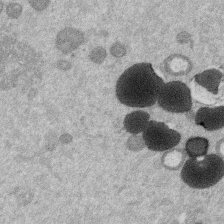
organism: Mouse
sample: Dividing mouse embryo 1 cell stage